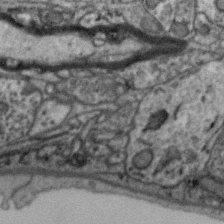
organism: Zebra finch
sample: Brain